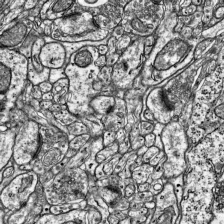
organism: Mouse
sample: Visual Cortex